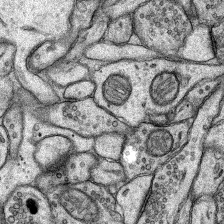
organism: Rat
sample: Hippocampus